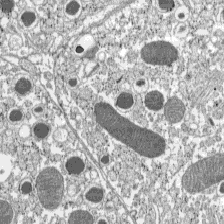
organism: C57BL Mouse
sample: Pancreatic islet